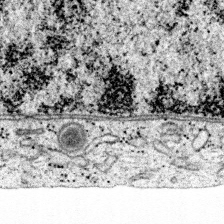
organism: Human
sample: HeLa cells